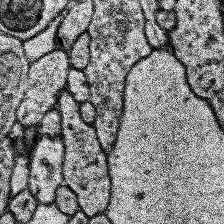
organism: Human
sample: Temporal Lobe